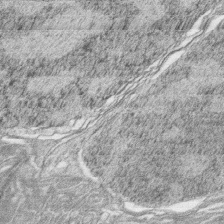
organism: Zebrafish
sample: synaptic ribbons in rod cells and cone cells